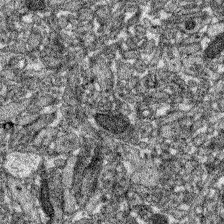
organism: Zebrafish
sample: Larval olfactory bulb